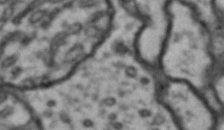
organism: Drosophila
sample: Brain